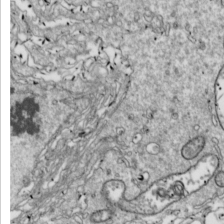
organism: Drosophila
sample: Cell division; meiosis; drosophila spermatocytes